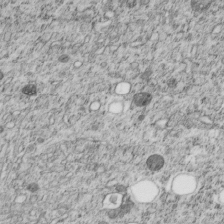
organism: C. elegans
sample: C. elegans embryo early stage